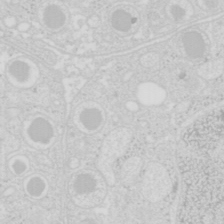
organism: Mouse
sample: Pancreas